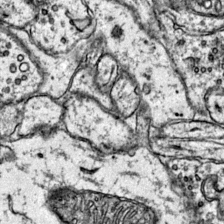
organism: Mouse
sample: Primary visual cortex